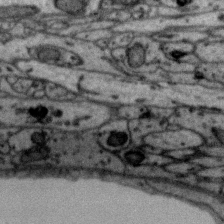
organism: Zebra finch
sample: Brain